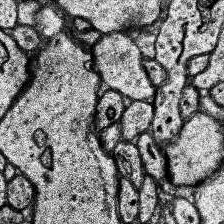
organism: Human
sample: Temporal Lobe